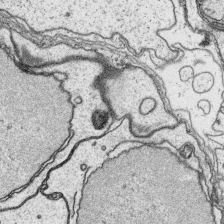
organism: Platynereis dumerilii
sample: Parapodia